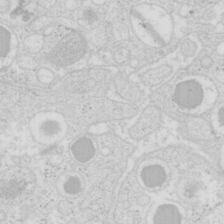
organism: Mouse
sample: Pancreas